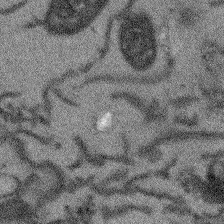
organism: Arabidopsis thaliana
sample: Root tip